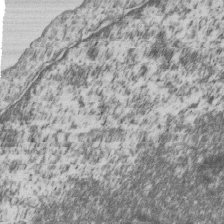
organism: Human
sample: MDA-MB-231 cells